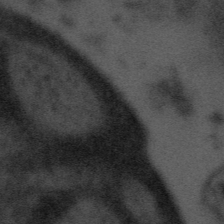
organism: Tuwongella immobilis